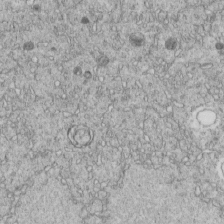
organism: C. elegans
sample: C. elegans embryo early stage